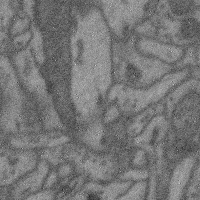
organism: Mouse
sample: Cerebral cortex